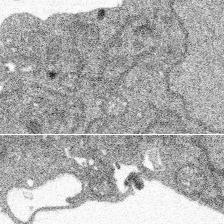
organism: Spongilla lacustris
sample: Multiple